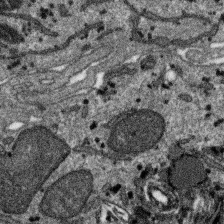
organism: Human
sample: Lung epithelial cells infected with SARS-CoV-2